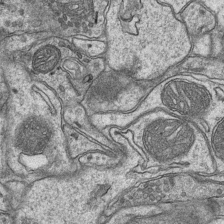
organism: Mouse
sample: CA1 Hippocampus